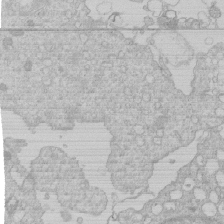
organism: Human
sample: Macrophage cells